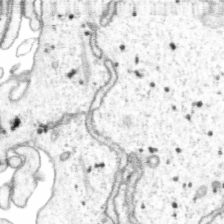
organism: Human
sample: HeLa cells